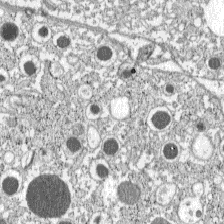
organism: C57BL Mouse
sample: Pancreatic islet